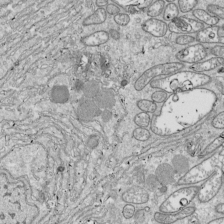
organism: Drosophila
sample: Cell division; meiosis; drosophila spermatocytes